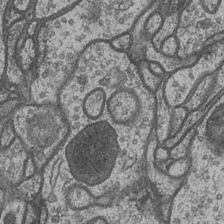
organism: Drosophila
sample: Optic medulla